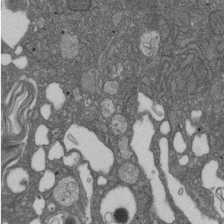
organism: Drosophila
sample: Nephrocyte